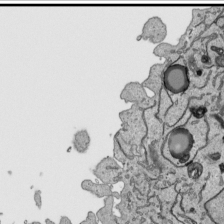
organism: Human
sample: Mitochondria in HCT116 cells